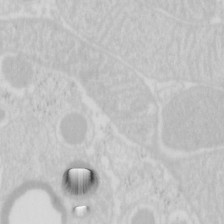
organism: Mouse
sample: Pancreas